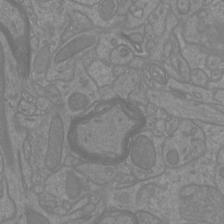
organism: Mouse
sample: Cortical neurons